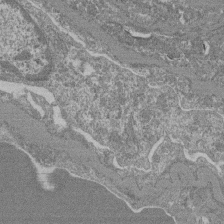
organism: Mouse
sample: Glomerulus